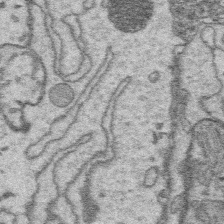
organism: Platynereis dumerilii